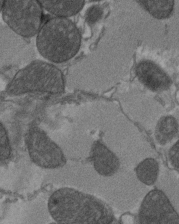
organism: C57BL Mouse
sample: Heart